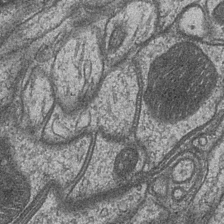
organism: Drosophila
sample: Optic medulla